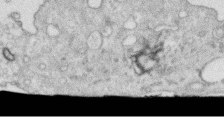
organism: Human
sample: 1205lu cells